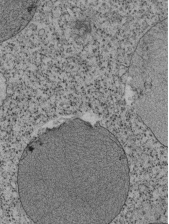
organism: Tetrahymena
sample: Cilia in tetrahymena